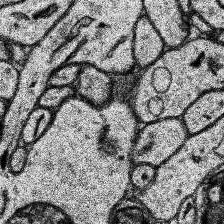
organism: Human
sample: Temporal Lobe